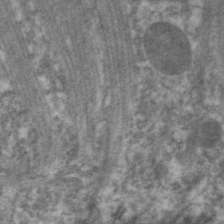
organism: C. elegans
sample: Pharynx